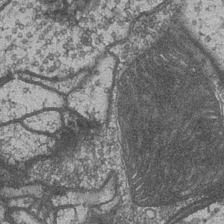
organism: Drosophila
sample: Optic medulla